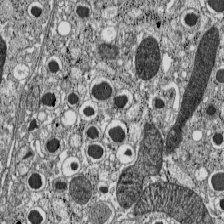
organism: C57BL Mouse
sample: Pancreatic islet